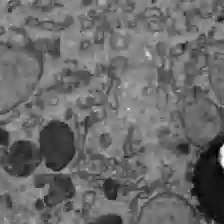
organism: C57BL Mouse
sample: Liver